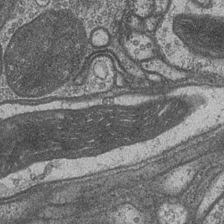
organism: Drosophila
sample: Optic medulla